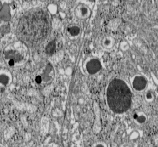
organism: C57BL Mouse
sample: Pancreatic islet